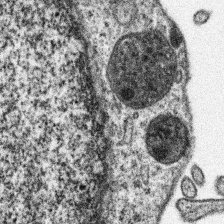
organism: Human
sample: HeLa cells